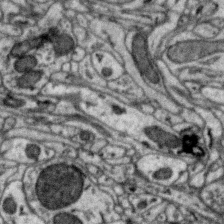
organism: Zebra finch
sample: Brain